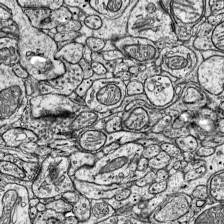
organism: Mouse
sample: Visual Cortex